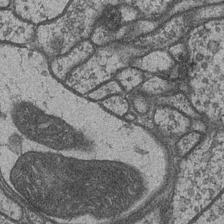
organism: Drosophila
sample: Optic medulla